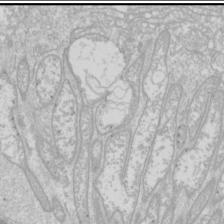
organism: Drosophila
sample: Cell division; meiosis; drosophila spermatocytes